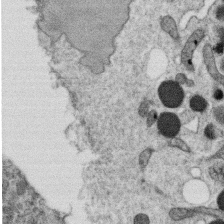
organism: C. elegans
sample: C. elegans oocyte; sperm cells